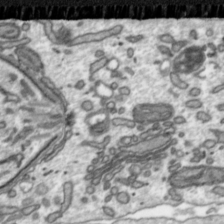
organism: Toxoplasma gondii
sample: Parasites in a vacuole inside a host cell